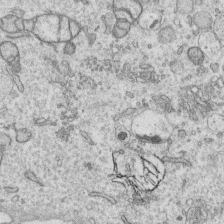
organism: Human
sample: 1205lu cells